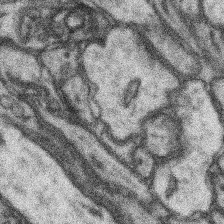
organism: Mouse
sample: Somatosensory cortex neuropil